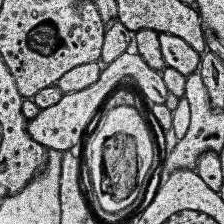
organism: Human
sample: Temporal Lobe